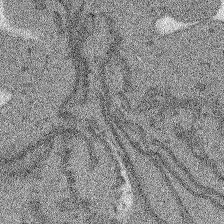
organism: Human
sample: HeLa cells